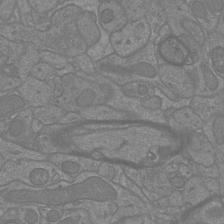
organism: Mouse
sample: Cortical neurons